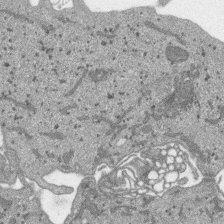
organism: Human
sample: Lung epithelial cells infected with SARS-CoV-2